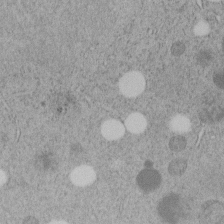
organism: C. elegans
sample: C. elegans embryo early stage